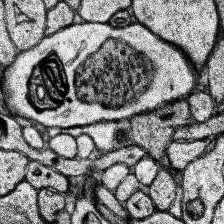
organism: Human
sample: Temporal Lobe